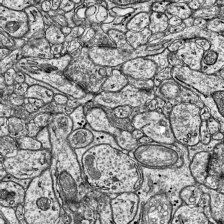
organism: Mouse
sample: Visual Cortex